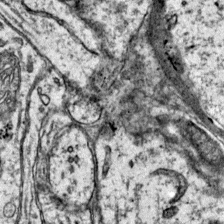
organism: Mouse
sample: Primary visual cortex